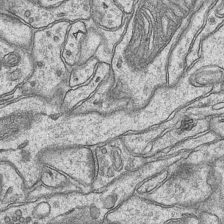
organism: Mouse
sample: CA1 Hippocampus